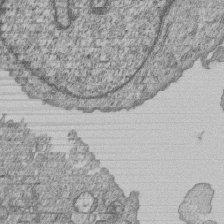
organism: Human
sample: MDA-MB-231 cells